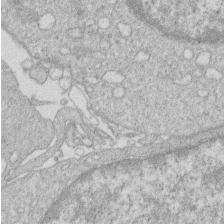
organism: Human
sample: Macrophage cells